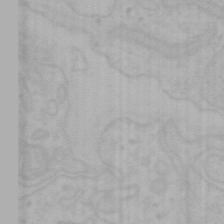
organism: Mouse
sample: Choroid plexus